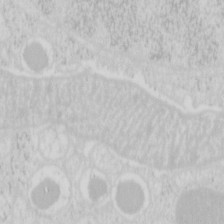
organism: Mouse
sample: Pancreas